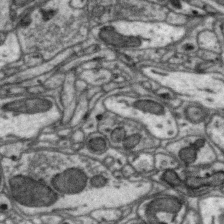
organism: Zebra finch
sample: Brain